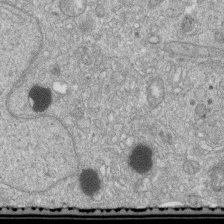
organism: Human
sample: HeLa cell HIV synapse